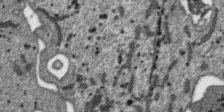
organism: Human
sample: Lung epithelial cells infected with SARS-CoV-2